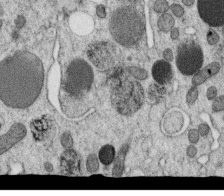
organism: C. elegans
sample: C. elegans oocyte; sperm cells